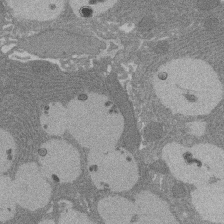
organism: Rat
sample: Salivary granule